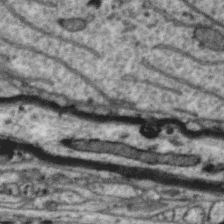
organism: Zebra finch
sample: Brain